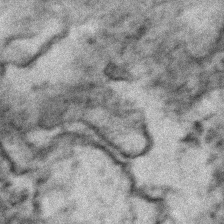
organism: Zebrafish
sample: Zebrafish embryo